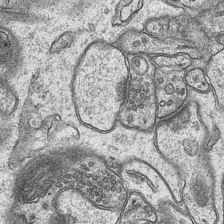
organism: Mouse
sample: CA1 Hippocampus